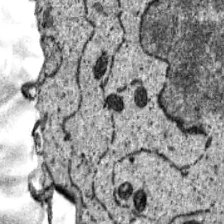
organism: Human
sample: HeLa cells